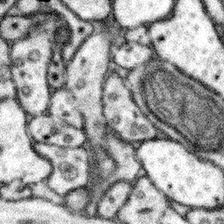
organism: Mouse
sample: Somatosensory cortex neuropil